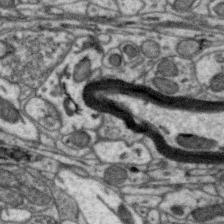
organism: Zebra finch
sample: Brain